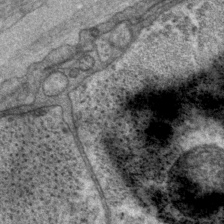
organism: P. pacificus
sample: Pharynx